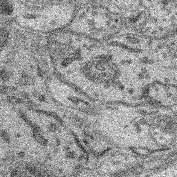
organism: Mouse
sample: Retina